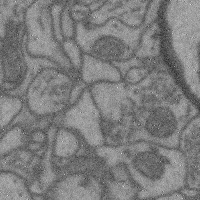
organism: Mouse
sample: Cerebral cortex